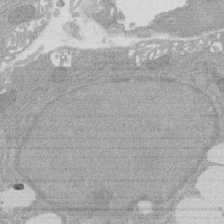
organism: Rat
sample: Salivary granule